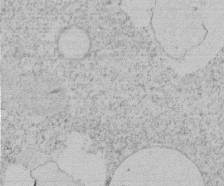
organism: Tetrahymena